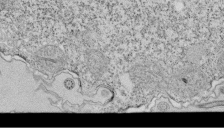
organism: Tetrahymena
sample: Cilia in tetrahymena